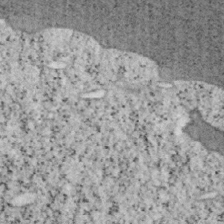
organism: Mouse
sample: OT-I killer T cells with ID8 ovarian cancer cells